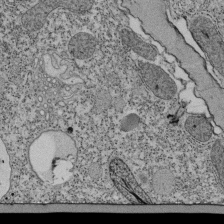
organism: Tetrahymena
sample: Cilia in tetrahymena